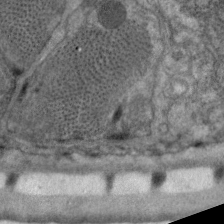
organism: C. elegans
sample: Pharynx